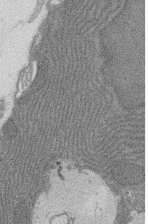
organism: Rat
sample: Salivary granule